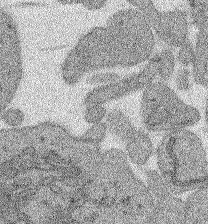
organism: Human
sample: HeLa cells